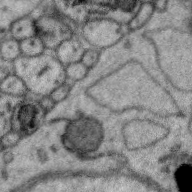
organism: Zebra finch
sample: Brain